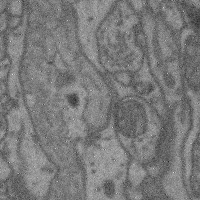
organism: Mouse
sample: Cerebral cortex